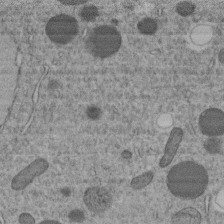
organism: C. elegans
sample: C. elegans embryo early stage